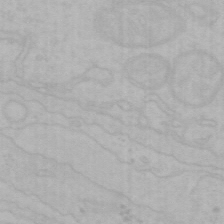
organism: Mouse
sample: Choroid plexus